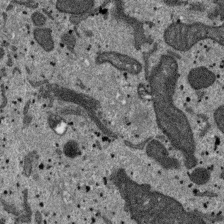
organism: Human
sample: Lung epithelial cells, uninfected (mock) control